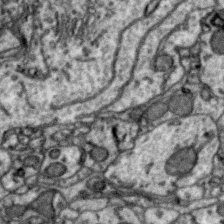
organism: Zebra finch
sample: Brain